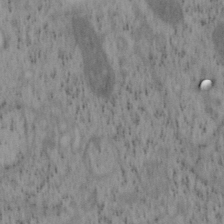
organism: Mouse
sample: OT-I killer T cells with ID8 ovarian cancer cells